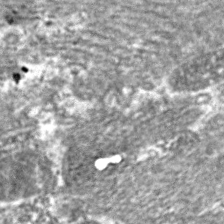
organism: C. elegans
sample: Pharynx